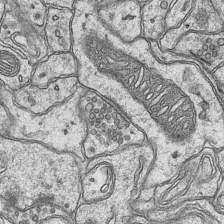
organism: Mouse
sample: CA1 Hippocampus